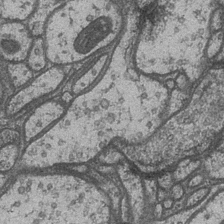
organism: Drosophila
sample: Optic medulla